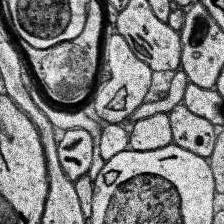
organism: Human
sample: Temporal Lobe